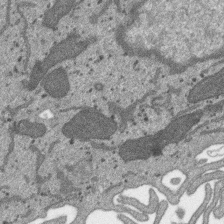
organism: Human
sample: Lung epithelial cells infected with SARS-CoV-2